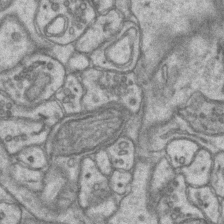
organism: Mouse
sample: CA1 Hippocampus